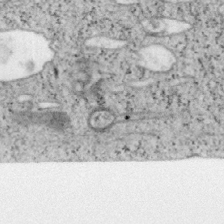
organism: Mouse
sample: OT-I killer T cells with ID8 ovarian cancer cells